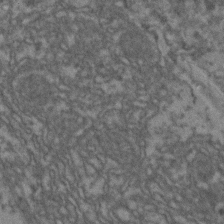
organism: Zebrafish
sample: Zebrafish embryo